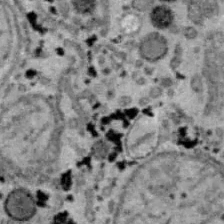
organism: Mouse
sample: Liver from an obese (ob/ob) mouse